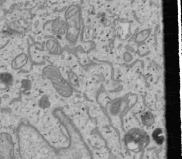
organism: Human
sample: Mitochondria in U2OS cells